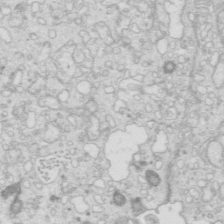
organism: Mouse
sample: Multiciliated cells